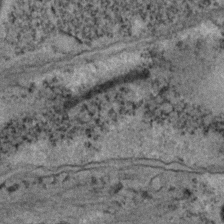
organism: C. elegans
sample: C. elegans embryo